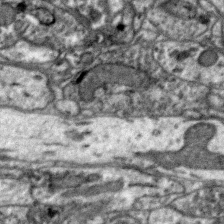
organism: Zebra finch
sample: Brain